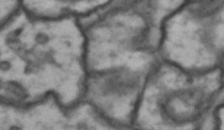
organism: Drosophila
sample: Brain